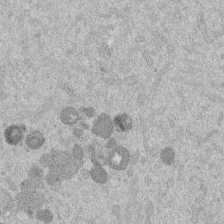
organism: Mouse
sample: Dividing mouse embryo 1 cell stage